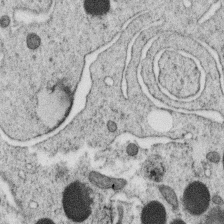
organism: C. elegans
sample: C. elegans oocyte; sperm cells